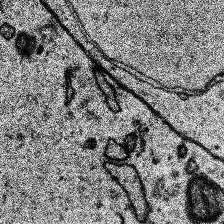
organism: Human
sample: Temporal Lobe